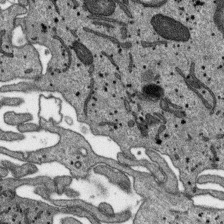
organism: Human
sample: Lung epithelial cells, uninfected (mock) control